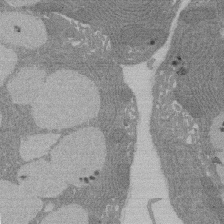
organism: Rat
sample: Salivary granule